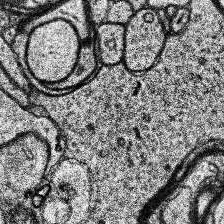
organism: Human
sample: Temporal Lobe